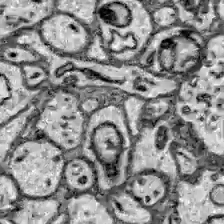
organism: Zebrafish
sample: Brain